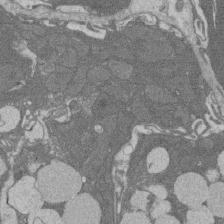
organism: Rat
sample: Salivary granule